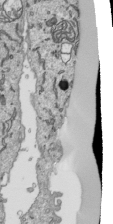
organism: Human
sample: Mitochondria in HCT116 cells